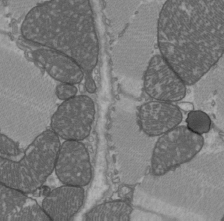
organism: C57BL Mouse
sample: Heart